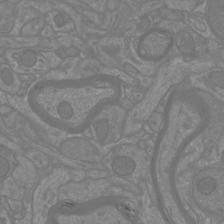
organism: Mouse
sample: Cortical neurons